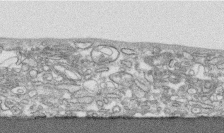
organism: Human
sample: CRL-1474